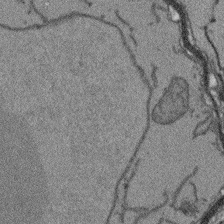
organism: Arabidopsis thaliana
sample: Root tip